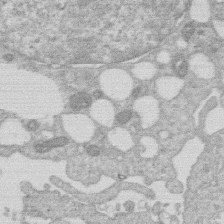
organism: Human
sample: Macrophage cells